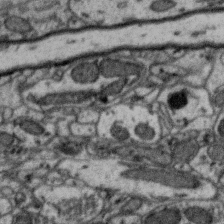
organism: Zebra finch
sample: Brain